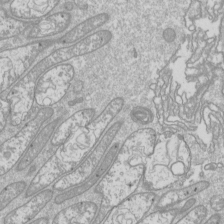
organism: Drosophila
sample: Cell division; meiosis; drosophila spermatocytes